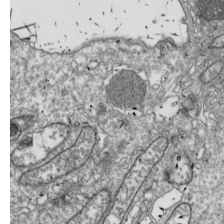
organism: Drosophila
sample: Cell division; meiosis; drosophila spermatocytes